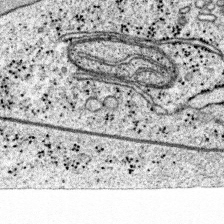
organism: Human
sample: HeLa cells